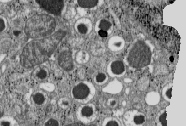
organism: C57BL Mouse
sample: Pancreatic islet